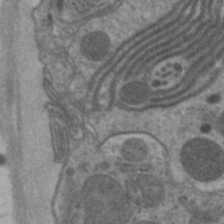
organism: C. elegans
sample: Pharynx